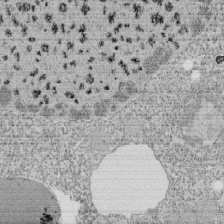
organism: Tetrahymena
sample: Cilia in tetrahymena